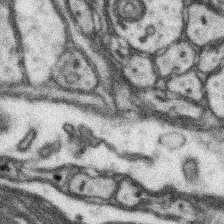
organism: Mouse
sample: Somatosensory cortex neuropil